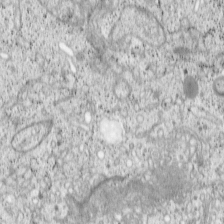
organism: African green monkey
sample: COS-7 cells